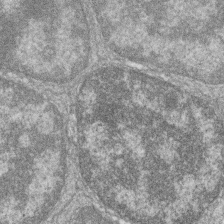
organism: Zebrafish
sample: Cilia; retinal pigment epithelium